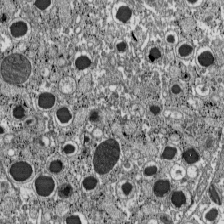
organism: C57BL Mouse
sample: Pancreatic islet